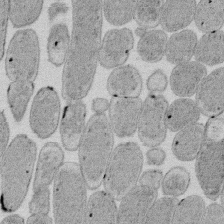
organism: E. coli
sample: Bacterial nucleoid